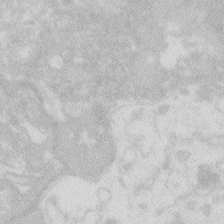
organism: Zebrafish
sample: Macrophage